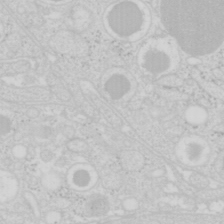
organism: Mouse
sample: Pancreas